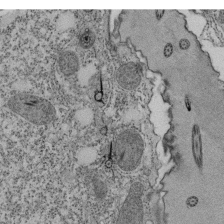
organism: Tetrahymena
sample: Cilia in tetrahymena